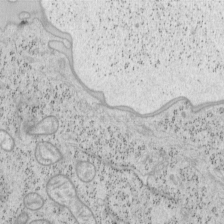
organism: Mouse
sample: OT-I killer T cells with ID8 ovarian cancer cells